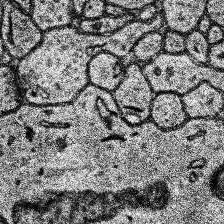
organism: Human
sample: Temporal Lobe